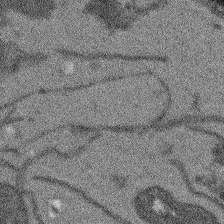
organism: Arabidopsis thaliana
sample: Root tip